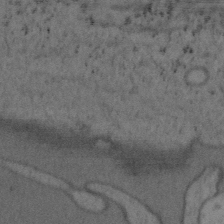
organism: Human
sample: HeLa cells